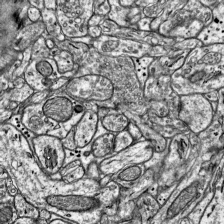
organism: Mouse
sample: Visual Cortex